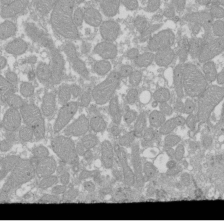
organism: Xenopus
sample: Cilia; centrioles in frog embryo cells